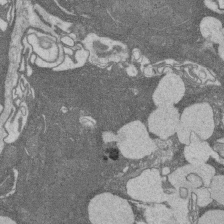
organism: Rat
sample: Salivary granule